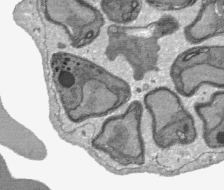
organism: Plasmodium falciparum